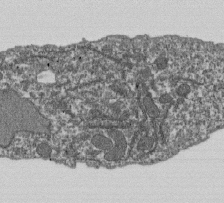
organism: Dictyostelium discoideum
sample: Dictyostelium multivesicular bodies